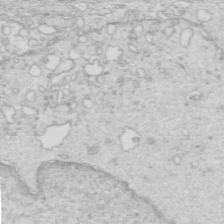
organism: Mouse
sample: Multiciliated cells